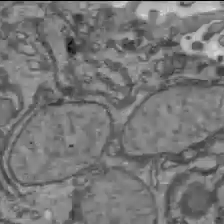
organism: C57BL Mouse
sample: Liver